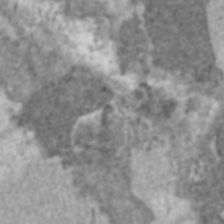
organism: C57BL Mouse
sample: Heart